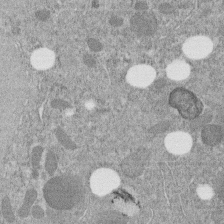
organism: C. elegans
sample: C. elegans embryo early stage